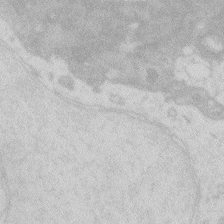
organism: Zebrafish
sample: Macrophage